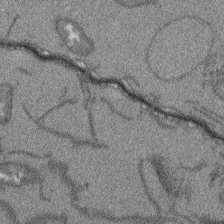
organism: Arabidopsis thaliana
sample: Root tip